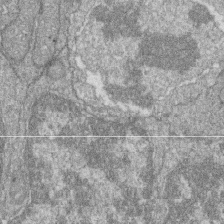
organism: Zebrafish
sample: Cilia; retinal pigment epithelium